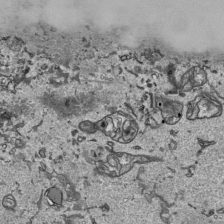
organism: Human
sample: Mitochondria in HCT116 cells